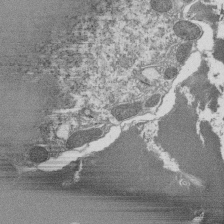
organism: Tetrahymena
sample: Cilia in tetrahymena